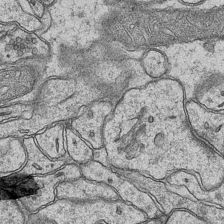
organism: Mouse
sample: CA1 Hippocampus